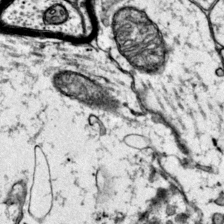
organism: Mouse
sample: Primary visual cortex